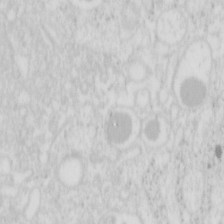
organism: Mouse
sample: Pancreas